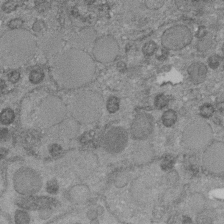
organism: C. elegans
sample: C. elegans embryo early stage